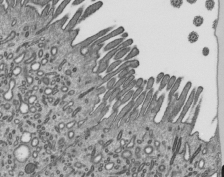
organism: Mouse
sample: Mouse epididymis efferent ductule cilia